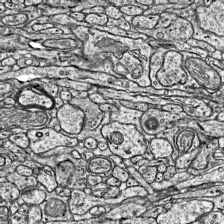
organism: Mouse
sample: Visual Cortex